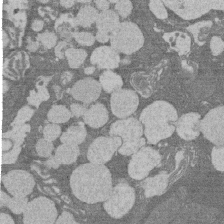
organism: Rat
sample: Salivary granule